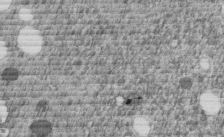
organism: C. elegans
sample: C. elegans embryo early stage